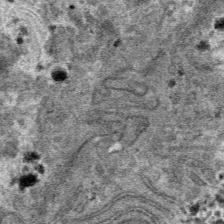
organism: Mouse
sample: Mouse hepatocytes